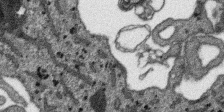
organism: Human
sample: Lung epithelial cells infected with SARS-CoV-2